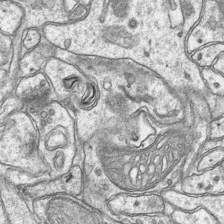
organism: Mouse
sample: CA1 Hippocampus